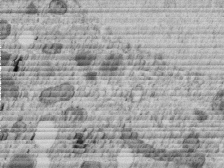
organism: C. elegans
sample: C. elegans embryo early stage